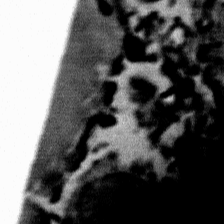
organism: Mouse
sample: Mouse Salivary gland